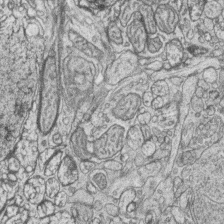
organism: Zebrafish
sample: synaptic ribbons in rod cells and cone cells